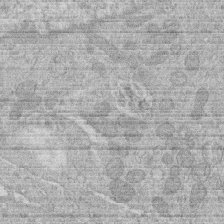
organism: Human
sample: Macrophage cells